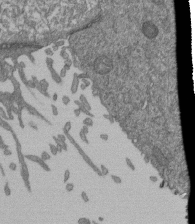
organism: Human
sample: Retinal organoid Rod and Cone cells